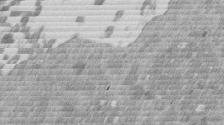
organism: Mouse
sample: Dividing mouse embryo 1 cell stage